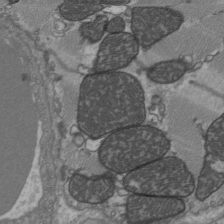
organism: C57BL Mouse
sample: Heart